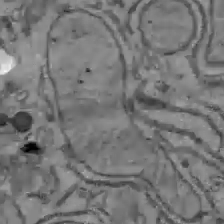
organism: C57BL Mouse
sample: Liver